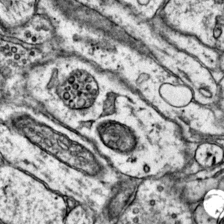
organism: Mouse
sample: Primary visual cortex